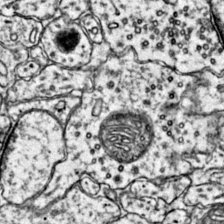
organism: Mouse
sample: Primary visual cortex